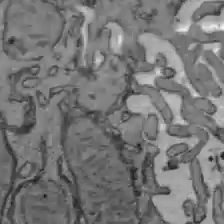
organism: C57BL Mouse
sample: Liver